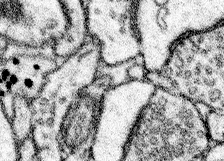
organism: Mouse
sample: Somatosensory cortex neuropil